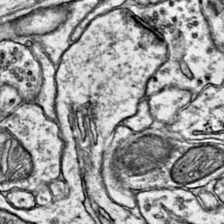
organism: Mouse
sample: Primary visual cortex